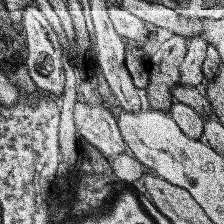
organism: Human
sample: Temporal Lobe